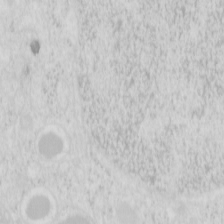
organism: Mouse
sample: Pancreas